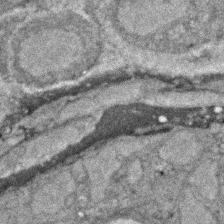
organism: Zebrafish